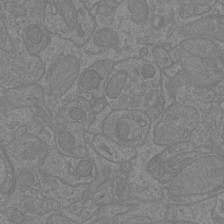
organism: Mouse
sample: Cortical neurons